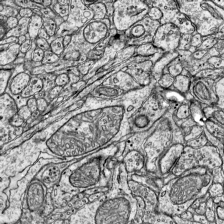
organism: Mouse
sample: Visual Cortex